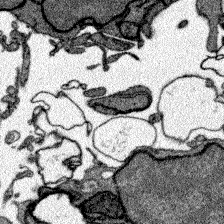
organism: Zebrafish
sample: Larval olfactory bulb